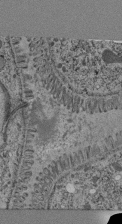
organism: C. elegans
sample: C. elegans pharynx